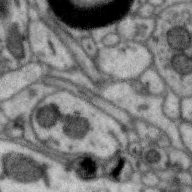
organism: Zebra finch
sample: Brain